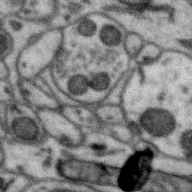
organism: Zebra finch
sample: Brain